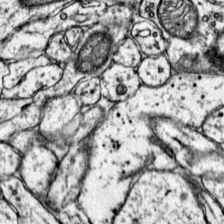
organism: Mouse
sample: Primary visual cortex